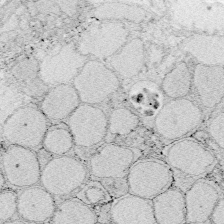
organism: Zebrafish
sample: Whole-Brain